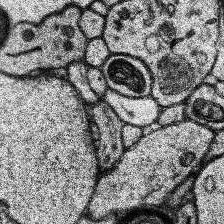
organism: Human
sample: Temporal Lobe